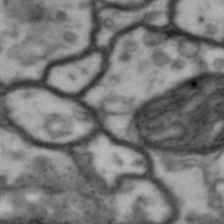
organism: Drosophila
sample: Brain